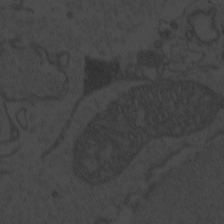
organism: Zebrafish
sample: Macrophage infected with Toxoplasma gondii